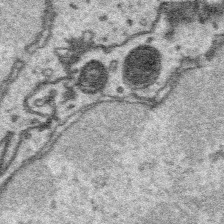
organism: Platynereis dumerilii